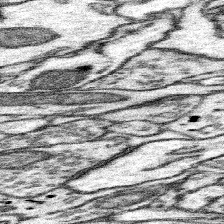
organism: Mouse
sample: Somatosensory cortex neuropil